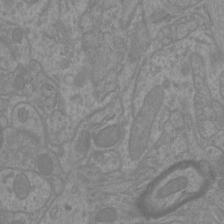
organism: Mouse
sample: Cortical neurons